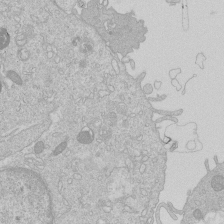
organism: Human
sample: Macrophage cells